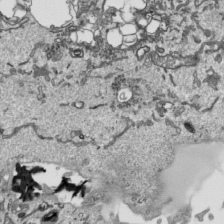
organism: Human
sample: Mitochondria in HCT116 cells